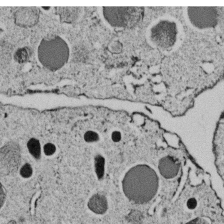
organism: C. elegans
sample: C. elegans embryo early stage